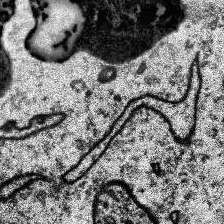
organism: Human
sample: Temporal Lobe